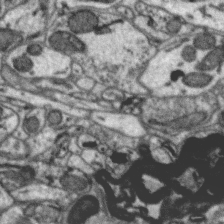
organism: Zebra finch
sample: Brain